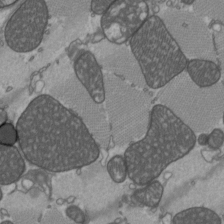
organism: C57BL Mouse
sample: Heart